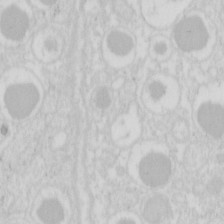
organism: Mouse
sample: Pancreas